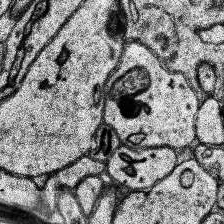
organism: Human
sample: Temporal Lobe